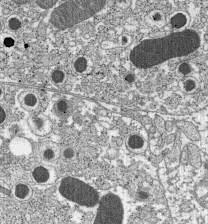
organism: C57BL Mouse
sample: Pancreatic islet